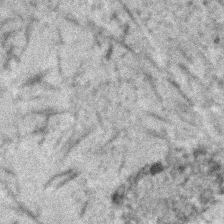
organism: Human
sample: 1205lu cells